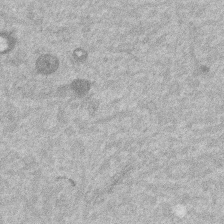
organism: Mouse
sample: Dividing mouse embryo 1 cell stage